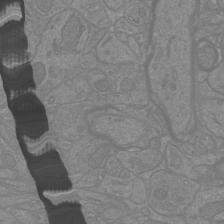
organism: Mouse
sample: Cortical neurons